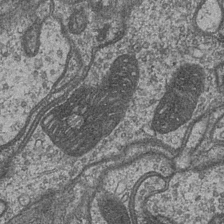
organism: Drosophila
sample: Optic medulla